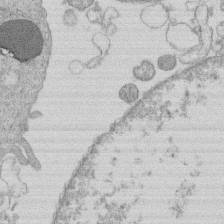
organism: Human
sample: Macrophage cells